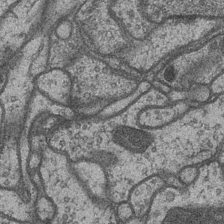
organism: Drosophila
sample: Optic medulla